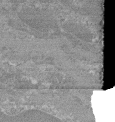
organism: Mouse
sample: Glomerulus